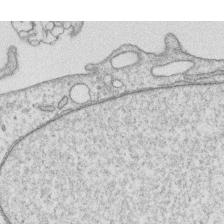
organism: Human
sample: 1205lu cells